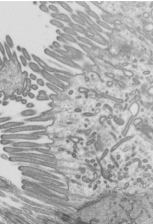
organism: Mouse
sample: Mouse epididymis efferent ductule cilia